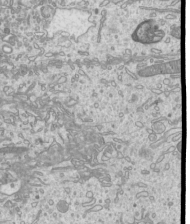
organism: Mouse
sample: Cilia; mouse epididymis